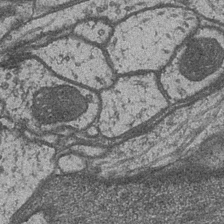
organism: Drosophila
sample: Optic medulla